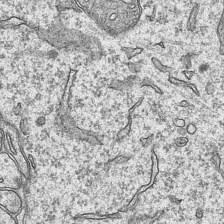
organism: Mouse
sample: CA1 Hippocampus